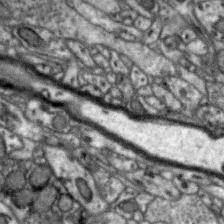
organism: Zebra finch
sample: Brain